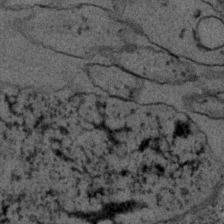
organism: C. elegans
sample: C. elegans embryo